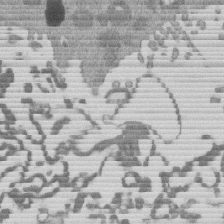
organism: Mouse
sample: Dividing mouse embryo 1 cell stage